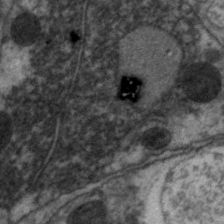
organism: C. elegans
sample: Pharynx